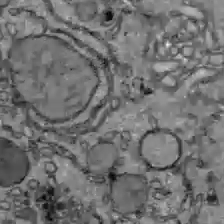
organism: C57BL Mouse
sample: Liver